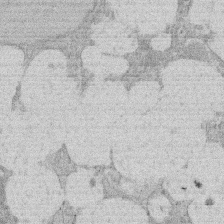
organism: Rat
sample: Salivary granule